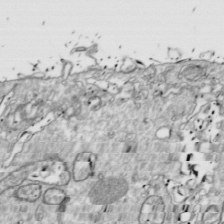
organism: Drosophila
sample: Cell division; meiosis; drosophila spermatocytes